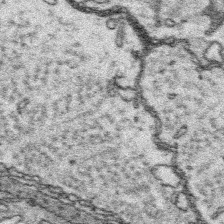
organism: Platynereis dumerilii